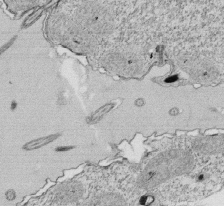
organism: Tetrahymena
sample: Cilia in tetrahymena